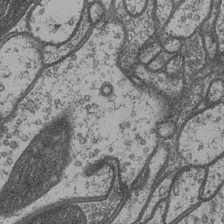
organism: Drosophila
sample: Optic medulla